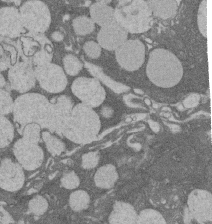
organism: Rat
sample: Salivary granule